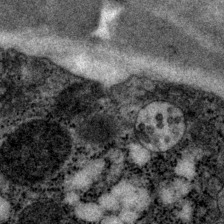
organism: P. pacificus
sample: Pharynx